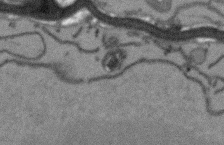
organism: Arabidopsis thaliana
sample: Root tip